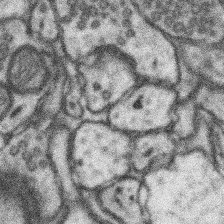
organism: Mouse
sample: Somatosensory cortex neuropil